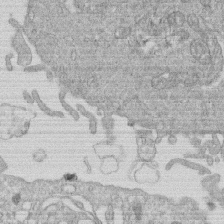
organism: Human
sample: Macrophage cells